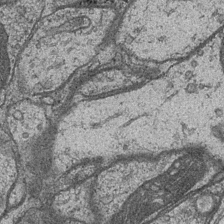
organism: Drosophila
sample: Optic medulla